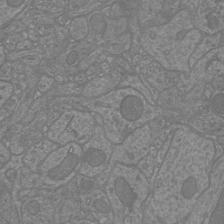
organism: Mouse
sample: Cortical neurons